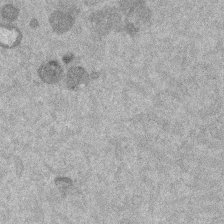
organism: Mouse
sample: Dividing mouse embryo 1 cell stage